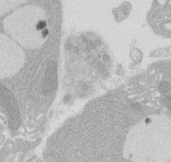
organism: Rat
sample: Salivary granule